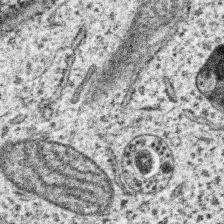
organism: Human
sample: HeLa cells